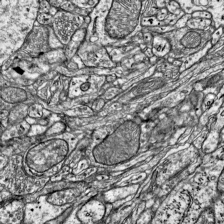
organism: Mouse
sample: Visual Cortex